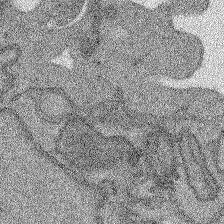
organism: Human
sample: HeLa cells